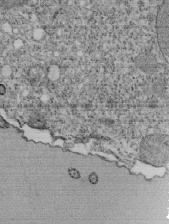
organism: Tetrahymena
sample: Cilia in tetrahymena